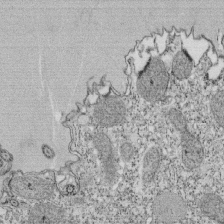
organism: Tetrahymena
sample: Cilia in tetrahymena